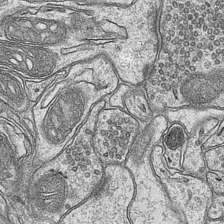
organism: Mouse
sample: CA1 Hippocampus